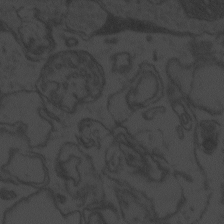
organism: Zebrafish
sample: Macrophage infected with Toxoplasma gondii